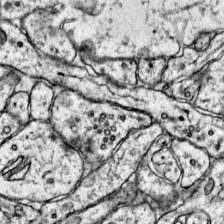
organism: Mouse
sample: Primary visual cortex